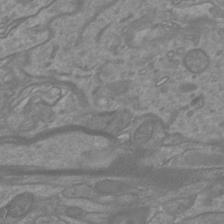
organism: Mouse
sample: Cortical neurons